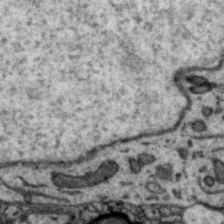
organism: Zebra finch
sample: Brain